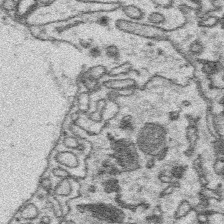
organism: Platynereis dumerilii